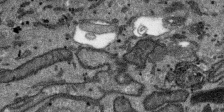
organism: Human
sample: Lung epithelial cells, uninfected (mock) control